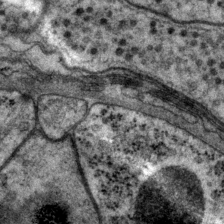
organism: P. pacificus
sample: Pharynx